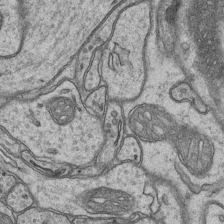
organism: Mouse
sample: CA1 Hippocampus